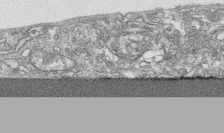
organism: Human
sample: CRL-1474